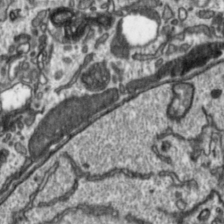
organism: Toxoplasma gondii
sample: Parasites in a vacuole inside a host cell